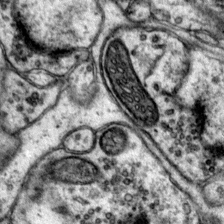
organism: Mouse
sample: Primary visual cortex